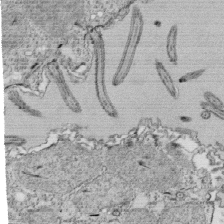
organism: Tetrahymena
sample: Cilia in tetrahymena